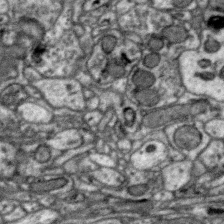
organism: Zebra finch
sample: Brain